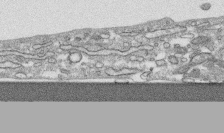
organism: Human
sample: CRL-1474